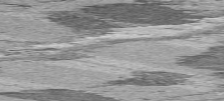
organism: C57BL Mouse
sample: Heart